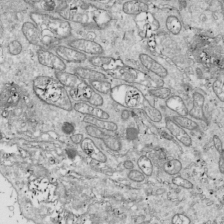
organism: Drosophila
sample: Cell division; meiosis; drosophila spermatocytes